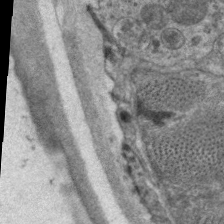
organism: C. elegans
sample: Pharynx